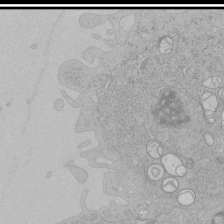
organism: Human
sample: Mitochondria in HCT116 cells